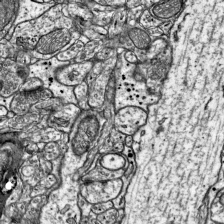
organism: Mouse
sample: Visual Cortex